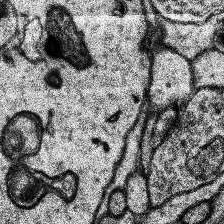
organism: Human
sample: Temporal Lobe